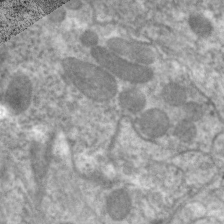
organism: C. elegans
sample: Pharynx